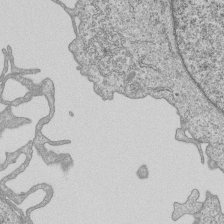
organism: Human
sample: MDA-MB-231 cells